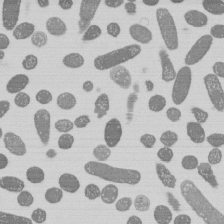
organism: E. coli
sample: Bacterial nucleoid